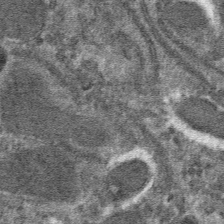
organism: Mouse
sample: Mouse hepatocytes